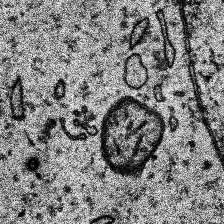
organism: Human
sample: Temporal Lobe